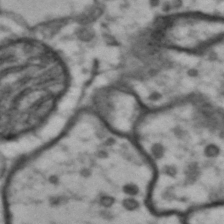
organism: Drosophila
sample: Brain